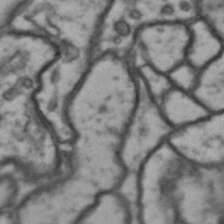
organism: Drosophila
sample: Brain